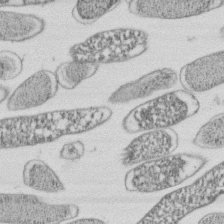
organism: E. coli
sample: Bacterial nucleoid